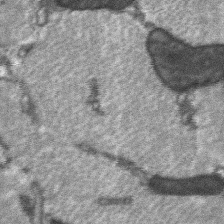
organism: C57BL Mouse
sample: Soleus